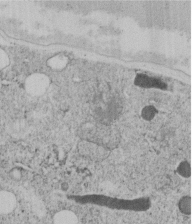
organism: C. elegans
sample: C. elegans embryo early stage